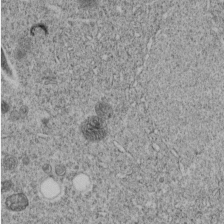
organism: C. elegans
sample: C. elegans embryo early stage